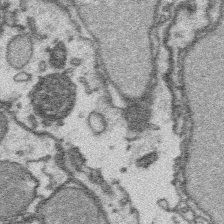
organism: Platynereis dumerilii